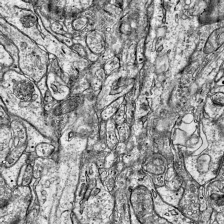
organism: Mouse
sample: Visual Cortex